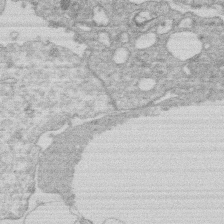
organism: Human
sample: Macrophage cells